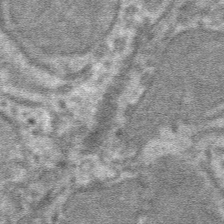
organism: Mouse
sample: Mouse hepatocytes